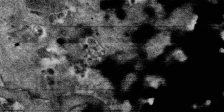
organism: Human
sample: Lung epithelial cells, uninfected (mock) control